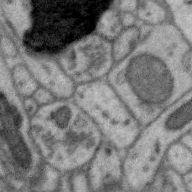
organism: Zebra finch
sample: Brain